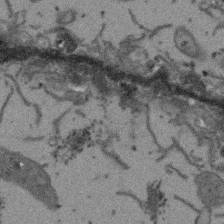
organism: Arabidopsis thaliana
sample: Root tip